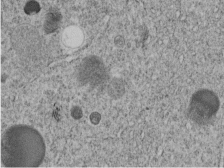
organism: C. elegans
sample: C. elegans embryo early stage